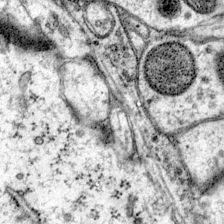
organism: Mouse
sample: Primary visual cortex